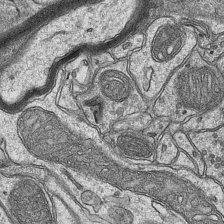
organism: Mouse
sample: CA1 Hippocampus